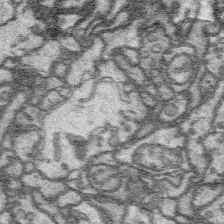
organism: Platynereis dumerilii